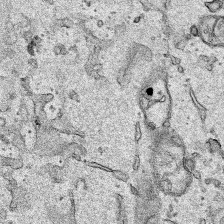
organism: Human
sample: Mitochondria in HCT116 cells